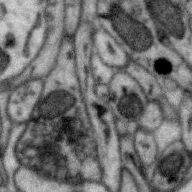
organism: Zebra finch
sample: Brain